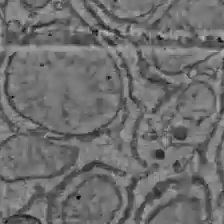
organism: C57BL Mouse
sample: Liver